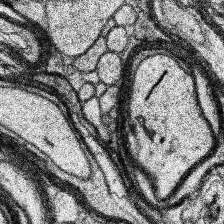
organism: Human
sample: Temporal Lobe